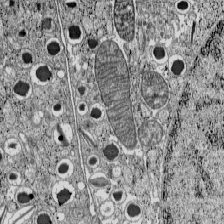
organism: C57BL Mouse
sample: Pancreatic islet